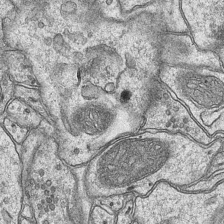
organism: Mouse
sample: CA1 Hippocampus